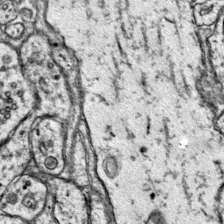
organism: Mouse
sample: Primary visual cortex